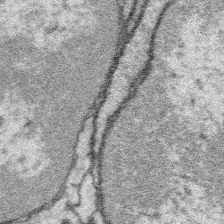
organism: Platynereis dumerilii